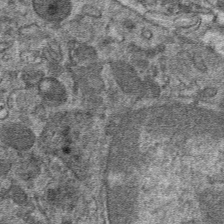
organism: Mouse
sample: Mouse hepatocytes